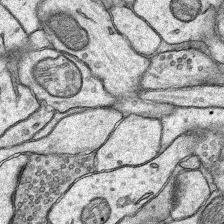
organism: Rat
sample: Hippocampus